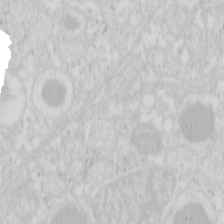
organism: Mouse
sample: Pancreas